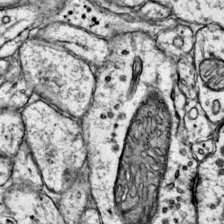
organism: Mouse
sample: Primary visual cortex